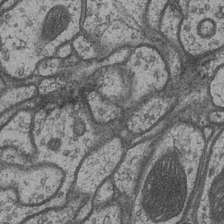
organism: Drosophila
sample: Optic medulla